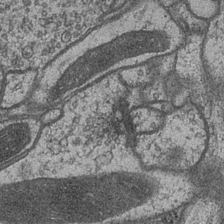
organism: Drosophila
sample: Optic medulla